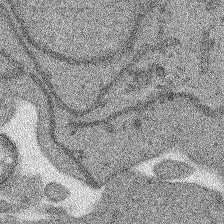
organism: Human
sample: HeLa cells